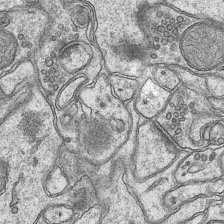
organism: Mouse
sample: CA1 Hippocampus